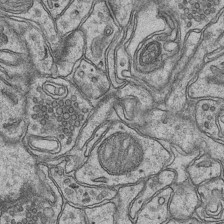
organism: Mouse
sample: CA1 Hippocampus